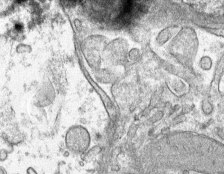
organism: Mouse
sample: Mouse hepatocytes